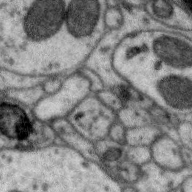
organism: Zebra finch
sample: Brain